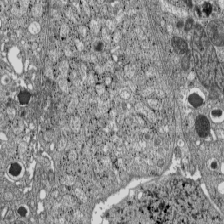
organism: C57BL Mouse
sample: Pancreatic islet